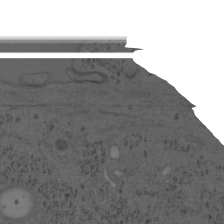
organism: Mouse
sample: OT-I killer T cells with ID8 ovarian cancer cells